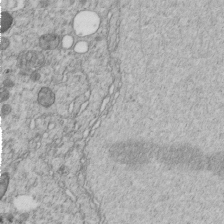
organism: C. elegans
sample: C. elegans embryo early stage